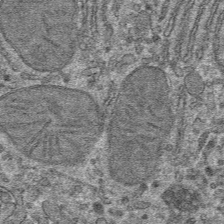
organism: Mouse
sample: Mouse hepatocytes